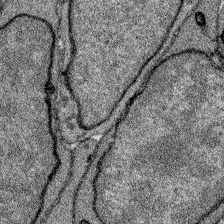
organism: Zebrafish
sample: Larval olfactory bulb